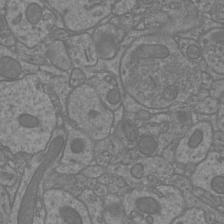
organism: Mouse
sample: Cortical neurons